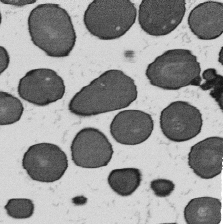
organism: B. subtilis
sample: Bacterial spore